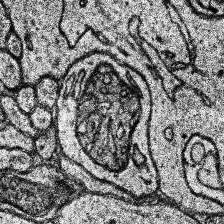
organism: Human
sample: Temporal Lobe